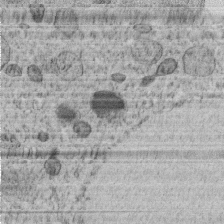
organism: C. elegans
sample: C. elegans embryo early stage